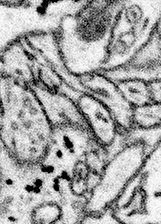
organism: Mouse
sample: Somatosensory cortex neuropil